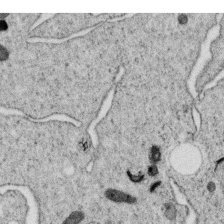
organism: C. elegans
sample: C. elegans oocyte; sperm cells